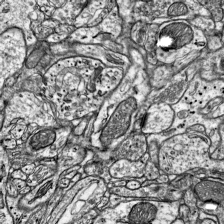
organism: Mouse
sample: Visual Cortex